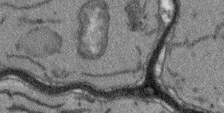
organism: Arabidopsis thaliana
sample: Root tip